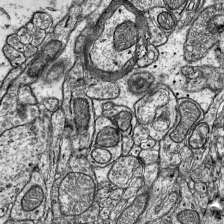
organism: Mouse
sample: Visual Cortex